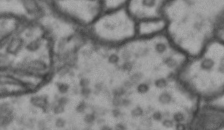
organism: Drosophila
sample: Brain